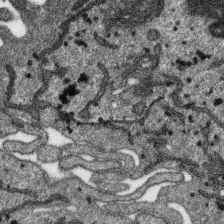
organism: Human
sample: Lung epithelial cells infected with SARS-CoV-2